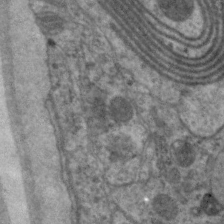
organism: C. elegans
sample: Pharynx